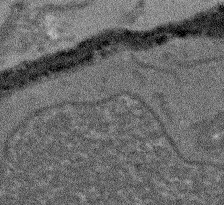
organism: Arabidopsis thaliana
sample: Root tip